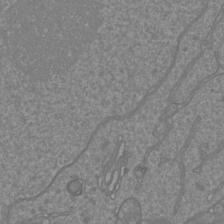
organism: Mouse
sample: Cortical neurons